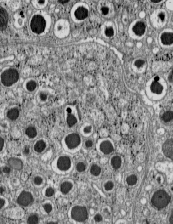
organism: C57BL Mouse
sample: Pancreatic islet